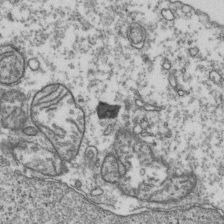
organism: Human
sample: Activated Jurkat CD4+ T cells